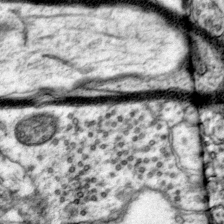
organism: Mouse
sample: Primary visual cortex